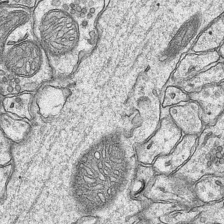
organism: Mouse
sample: CA1 Hippocampus